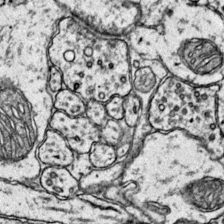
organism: Mouse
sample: Primary visual cortex